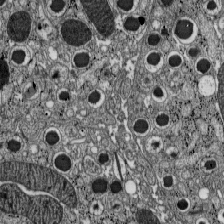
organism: C57BL Mouse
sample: Pancreatic islet